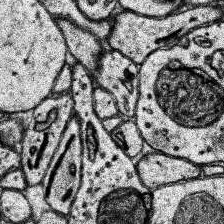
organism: Human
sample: Temporal Lobe